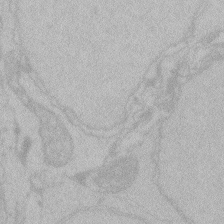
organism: Zebrafish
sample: Macrophage infected with Toxoplasma gondii